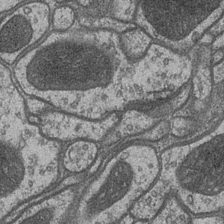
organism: Drosophila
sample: Optic medulla